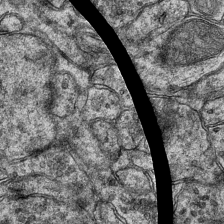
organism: Mouse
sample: CA1 Hippocampus